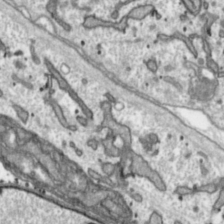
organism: Toxoplasma gondii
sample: Parasites in a vacuole inside a host cell